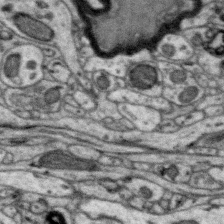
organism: Zebra finch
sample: Brain